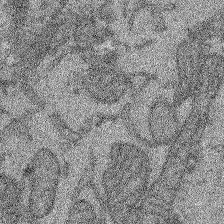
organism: Human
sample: HeLa cells